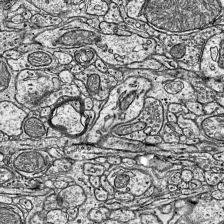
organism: Mouse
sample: Visual Cortex